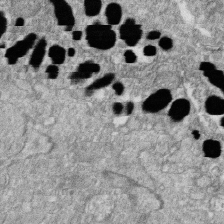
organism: Zebrafish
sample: Cilia; retinal pigment epithelium